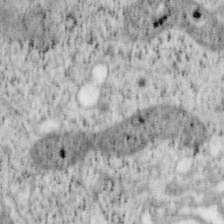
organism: Mouse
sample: OT-I killer T cells with ID8 ovarian cancer cells